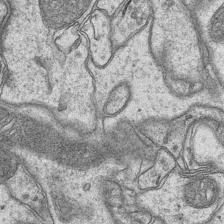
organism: Mouse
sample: CA1 Hippocampus